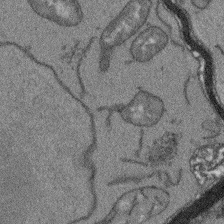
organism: Arabidopsis thaliana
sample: Root tip